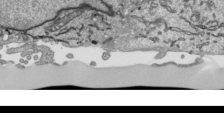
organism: Human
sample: Mitochondria in HCT116 cells